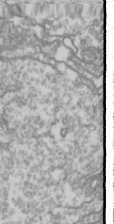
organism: Drosophila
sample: Cell division; meiosis; drosophila spermatocytes